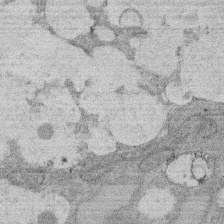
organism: Rat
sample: Salivary granule